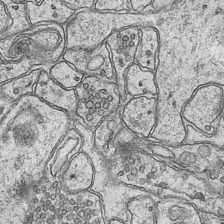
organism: Mouse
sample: CA1 Hippocampus